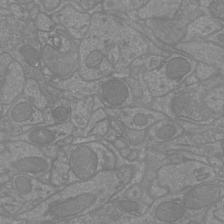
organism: Mouse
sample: Cortical neurons